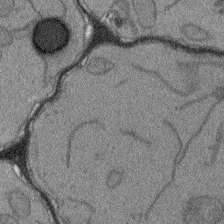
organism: Arabidopsis thaliana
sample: Root tip